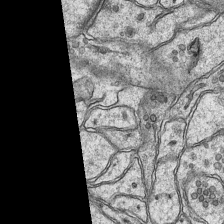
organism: Mouse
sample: CA1 Hippocampus